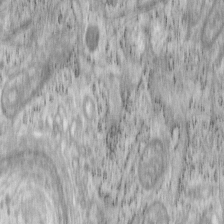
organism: Human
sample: HeLa cells